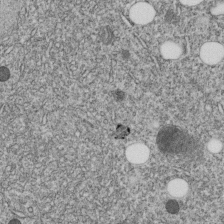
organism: C. elegans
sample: C. elegans embryo early stage